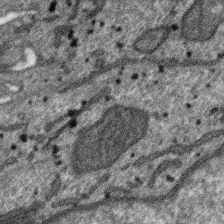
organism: Human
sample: Lung epithelial cells infected with SARS-CoV-2